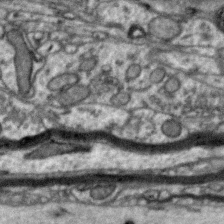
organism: Zebra finch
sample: Brain